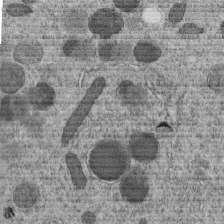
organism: C. elegans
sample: C. elegans embryo early stage